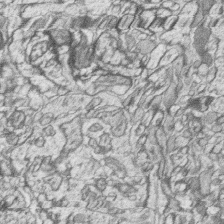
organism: Zebrafish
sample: synaptic ribbons in rod cells and cone cells